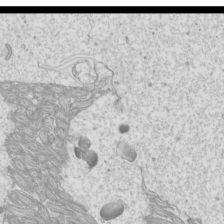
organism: Mouse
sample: Cilia; mouse epididymis